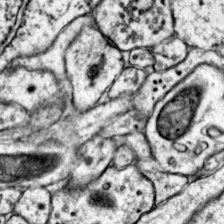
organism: Mouse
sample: Primary visual cortex